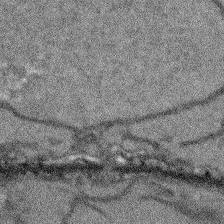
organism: Arabidopsis thaliana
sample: Root tip